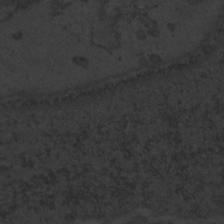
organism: Zebrafish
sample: Macrophage infected with Toxoplasma gondii